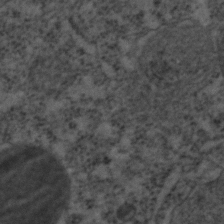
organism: C. elegans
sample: C. elegans embryo